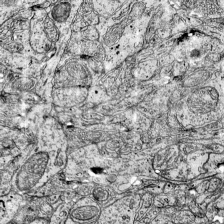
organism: Mouse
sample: Visual Cortex